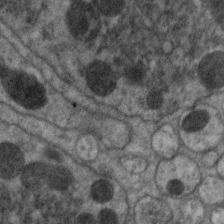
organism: C. elegans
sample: Pharynx